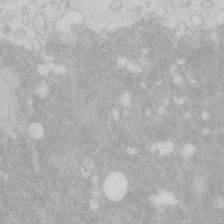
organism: Zebrafish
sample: Macrophage